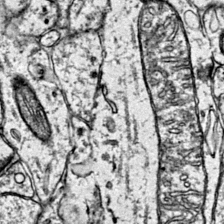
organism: Mouse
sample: Primary visual cortex